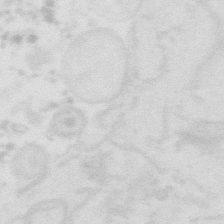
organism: Human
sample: HeLa cells